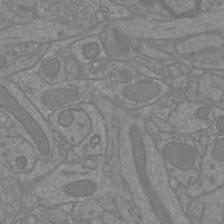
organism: Mouse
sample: Cortical neurons